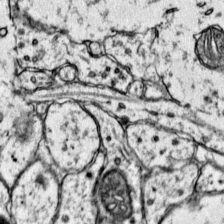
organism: Mouse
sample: Primary visual cortex